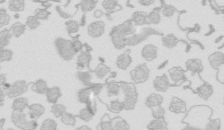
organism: Mouse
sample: Multiciliated cells